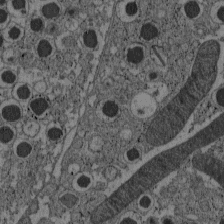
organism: C57BL Mouse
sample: Pancreatic islet